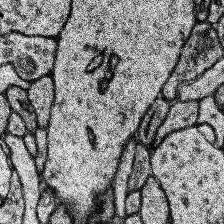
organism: Human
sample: Temporal Lobe